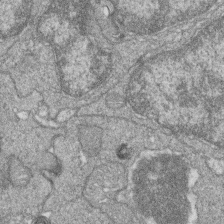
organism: Zebrafish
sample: Cilia; retinal pigment epithelium